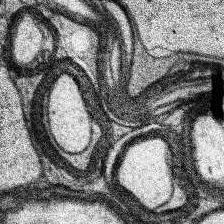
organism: Human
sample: Temporal Lobe